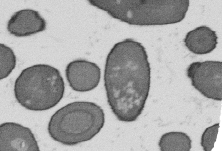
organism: B. subtilis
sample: Bacterial spore